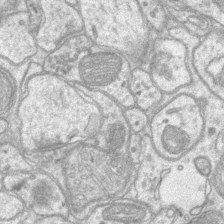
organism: Mouse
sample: CA1 Hippocampus